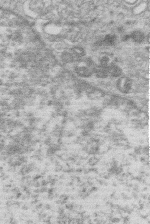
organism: Human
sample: Macrophage cells